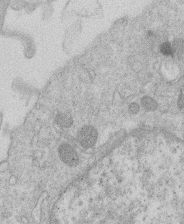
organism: Human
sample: Macrophage cells